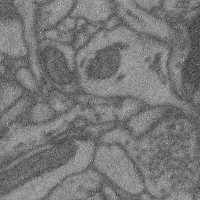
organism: Mouse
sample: Cerebral cortex